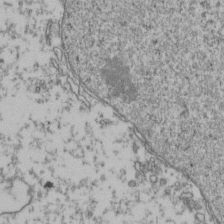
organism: Human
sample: Activated Jurkat CD4+ T cells